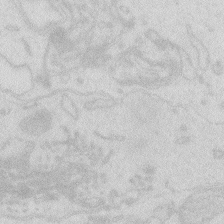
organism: Zebrafish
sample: Macrophage